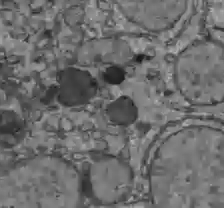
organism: C57BL Mouse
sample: Liver